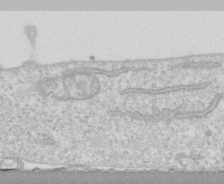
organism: Human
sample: CRL-1474